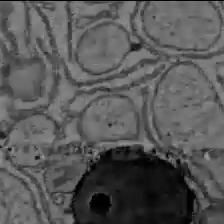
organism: C57BL Mouse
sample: Liver